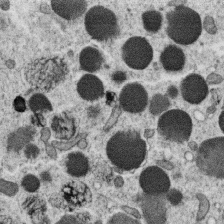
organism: C. elegans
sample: C. elegans oocyte; sperm cells